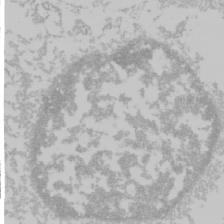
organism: Mouse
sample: Cancer cell death in ED-1 cells